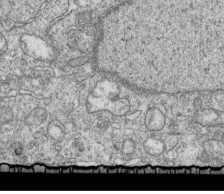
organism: Human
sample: HeLa cell HIV synapse